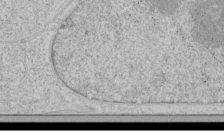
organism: Human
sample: Mitochondria in HCT116 cells